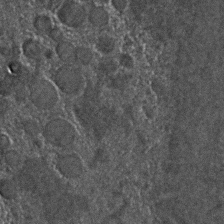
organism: C. elegans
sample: C. elegans embryo